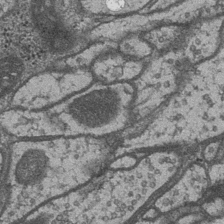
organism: Drosophila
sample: Optic medulla